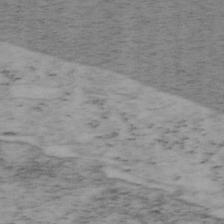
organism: Mouse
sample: OT-I killer T cells with ID8 ovarian cancer cells